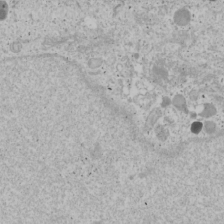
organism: Human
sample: Mitochondria in U2OS cells